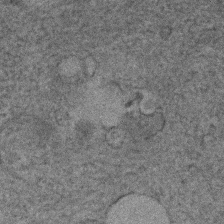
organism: Human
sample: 1205lu cells